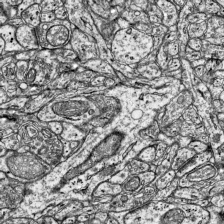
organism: Mouse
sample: Visual Cortex